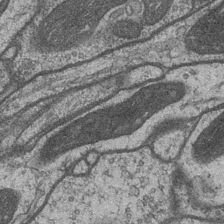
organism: Drosophila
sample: Optic medulla